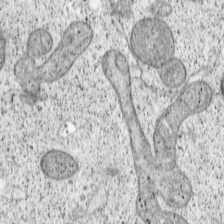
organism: African green monkey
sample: COS-7 cells